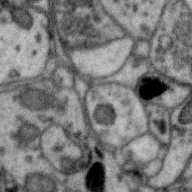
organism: Zebra finch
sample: Brain